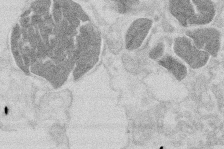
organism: Mouse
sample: T cell stromal cell synapse